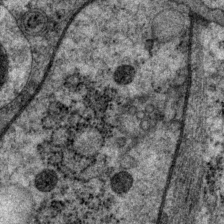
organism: P. pacificus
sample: Pharynx